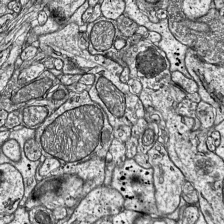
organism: Mouse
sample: Visual Cortex